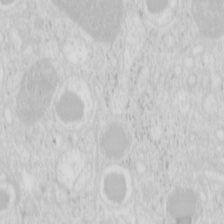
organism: Mouse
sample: Pancreas